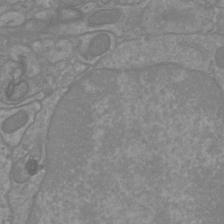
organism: Mouse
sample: Cortical neurons